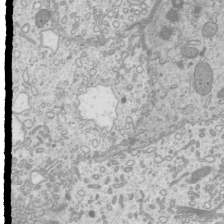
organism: Mouse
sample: Cilia; mouse epididymis